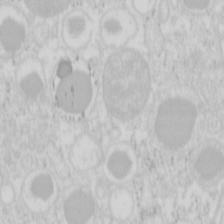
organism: Mouse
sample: Pancreas